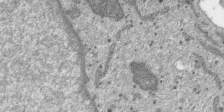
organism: Human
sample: Lung epithelial cells infected with SARS-CoV-2